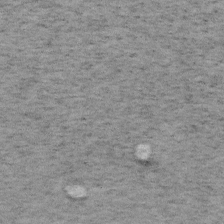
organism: Mouse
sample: OT-I killer T cells with ID8 ovarian cancer cells